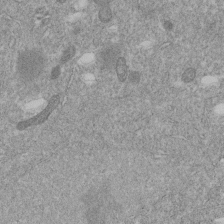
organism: C. elegans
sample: C. elegans embryo early stage